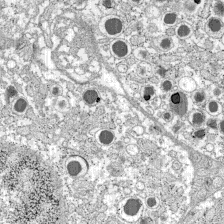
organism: C57BL Mouse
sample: Pancreatic islet